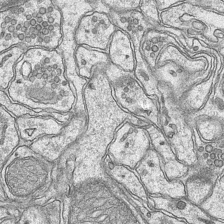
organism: Mouse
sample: CA1 Hippocampus